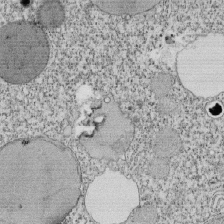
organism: Tetrahymena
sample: Cilia in tetrahymena